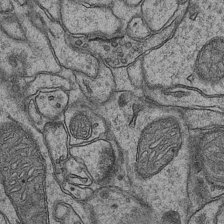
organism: Mouse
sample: CA1 Hippocampus